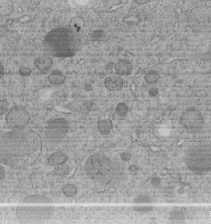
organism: C. elegans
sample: C. elegans embryo early stage